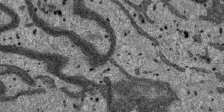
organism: Human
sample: Lung epithelial cells, uninfected (mock) control